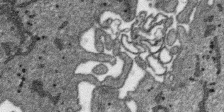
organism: Human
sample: Lung epithelial cells infected with SARS-CoV-2